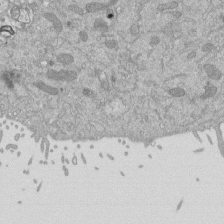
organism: Mouse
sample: ED-1 cell nuclei; centrioles